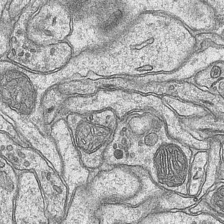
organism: Mouse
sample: CA1 Hippocampus